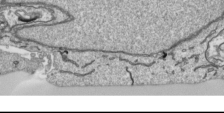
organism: Human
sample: Mitochondria in HCT116 cells